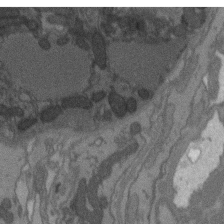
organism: C. elegans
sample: AFD neurons C. elegans